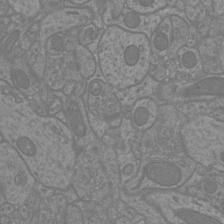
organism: Mouse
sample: Cortical neurons